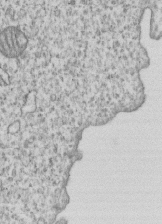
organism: Human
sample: MDA-MB-231 cells